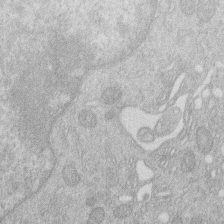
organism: Human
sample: Macrophage cells